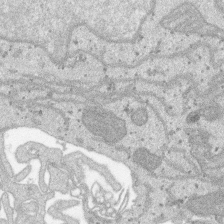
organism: Human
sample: Lung epithelial cells infected with SARS-CoV-2